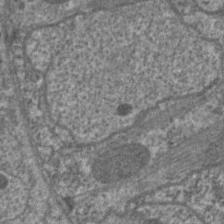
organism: C. elegans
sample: Pharynx